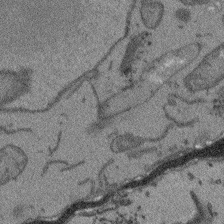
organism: Arabidopsis thaliana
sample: Root tip